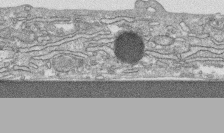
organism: Human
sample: CRL-1474